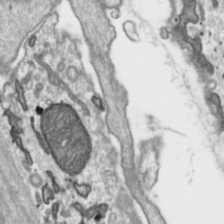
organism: Toxoplasma gondii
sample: Parasites in a vacuole inside a host cell